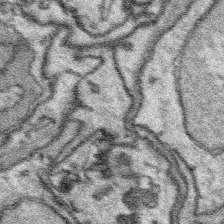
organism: Platynereis dumerilii